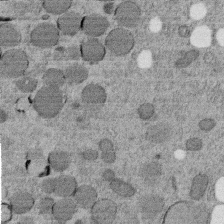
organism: C. elegans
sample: C. elegans embryo early stage